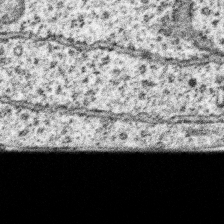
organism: Human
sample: HeLa cells